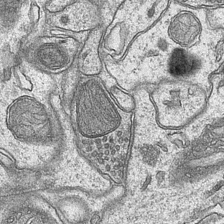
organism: Mouse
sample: CA1 Hippocampus